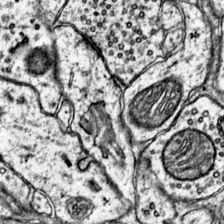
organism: Mouse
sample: Primary visual cortex